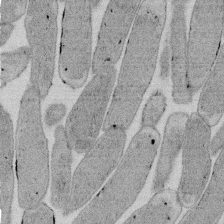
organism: E. coli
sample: Bacterial nucleoid